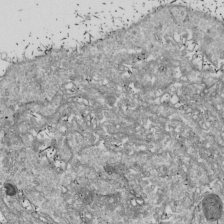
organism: Drosophila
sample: Cell division; meiosis; drosophila spermatocytes